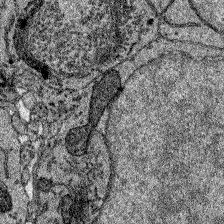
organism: Zebrafish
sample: Larval olfactory bulb